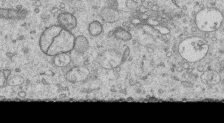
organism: Human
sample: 1205lu cells